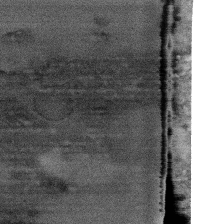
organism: Human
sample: CRL-1474